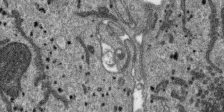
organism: Human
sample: Lung epithelial cells, uninfected (mock) control